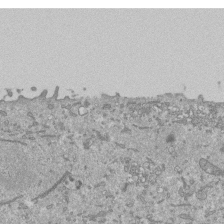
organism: Mouse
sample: ED-1 cell nuclei; centrioles